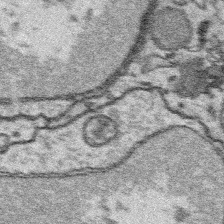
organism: Platynereis dumerilii